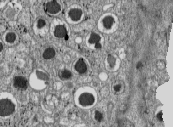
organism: C57BL Mouse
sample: Pancreatic islet